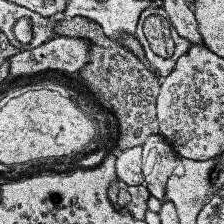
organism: Human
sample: Temporal Lobe